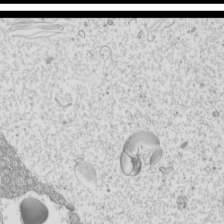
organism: Mouse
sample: Cilia; mouse epididymis